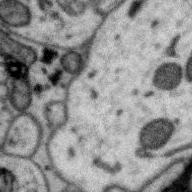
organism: Zebra finch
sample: Brain